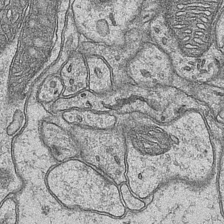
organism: Mouse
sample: CA1 Hippocampus